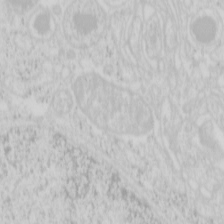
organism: Mouse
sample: Pancreas